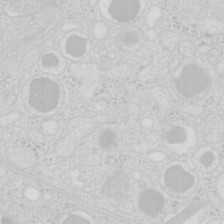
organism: Mouse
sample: Pancreas